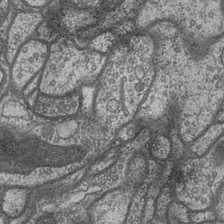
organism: Drosophila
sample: Optic medulla